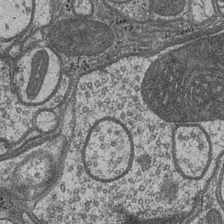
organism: Drosophila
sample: Optic medulla